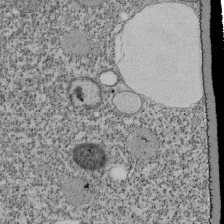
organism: Tetrahymena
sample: Cilia in tetrahymena